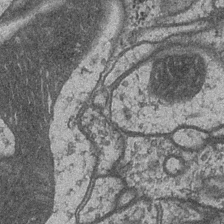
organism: Drosophila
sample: Optic medulla